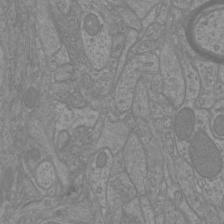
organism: Mouse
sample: Cortical neurons